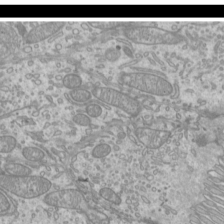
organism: Mouse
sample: Cilia; mouse epididymis